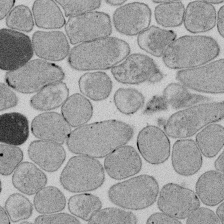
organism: E. coli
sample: Bacterial nucleoid